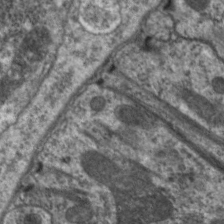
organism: C. elegans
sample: Pharynx